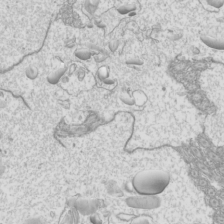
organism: Mouse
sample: Cilia; mouse epididymis